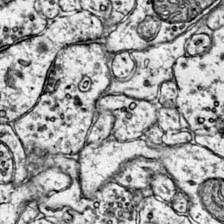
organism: Mouse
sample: Primary visual cortex